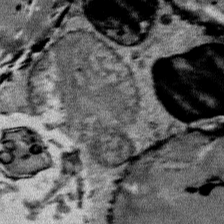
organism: Mouse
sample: Mouse Salivary gland